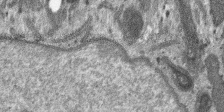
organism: Human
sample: Lung epithelial cells infected with SARS-CoV-2